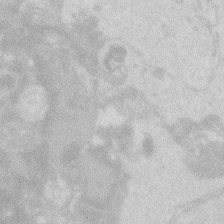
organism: Zebrafish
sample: Macrophage